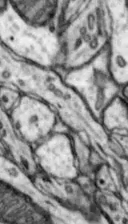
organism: Mouse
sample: Nucleus accumbens